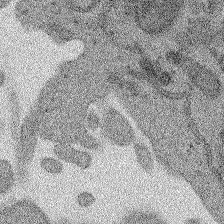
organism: Human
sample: HeLa cells